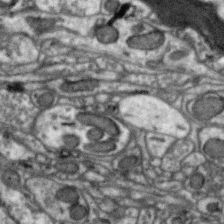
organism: Zebra finch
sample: Brain